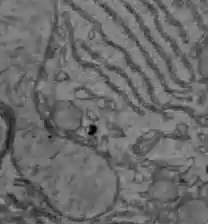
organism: C57BL Mouse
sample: Liver